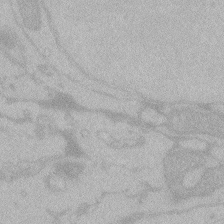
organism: Zebrafish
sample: Macrophage infected with Toxoplasma gondii